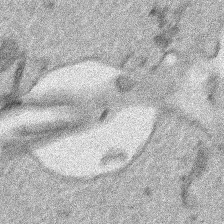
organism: Human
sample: Mitochondria in HCT116 cells